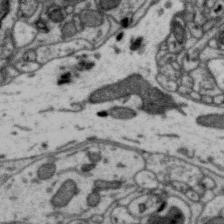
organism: Zebra finch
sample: Brain